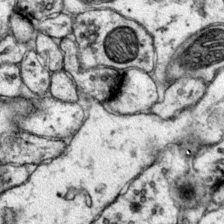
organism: Mouse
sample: Primary visual cortex